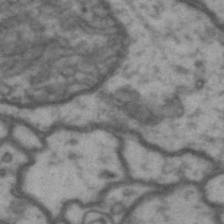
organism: Drosophila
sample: Brain